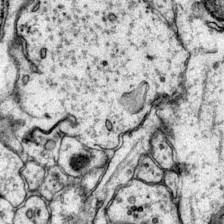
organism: Mouse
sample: Primary visual cortex